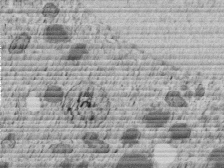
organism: C. elegans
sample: C. elegans embryo early stage